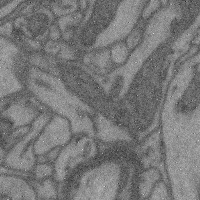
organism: Mouse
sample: Cerebral cortex